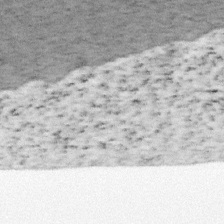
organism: Mouse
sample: OT-I killer T cells with ID8 ovarian cancer cells